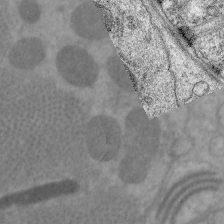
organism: C. elegans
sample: Pharynx